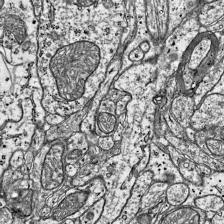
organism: Mouse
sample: Visual Cortex